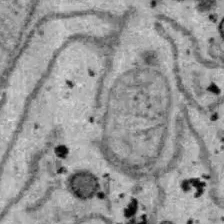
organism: Mouse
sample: Liver from an obese (ob/ob) mouse